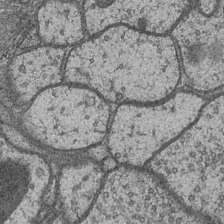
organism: Drosophila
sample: Optic medulla